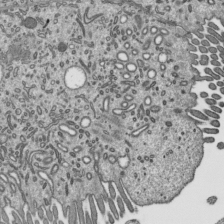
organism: Mouse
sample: Mouse epididymis efferent ductule cilia